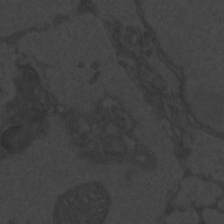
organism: Zebrafish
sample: Macrophage infected with Toxoplasma gondii